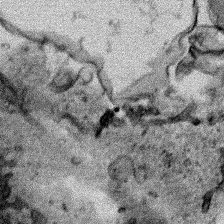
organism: Human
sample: Mitochondria in HCT116 cells